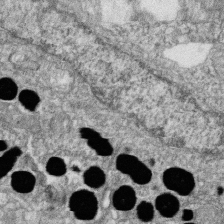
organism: Zebrafish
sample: Cilia; retinal pigment epithelium